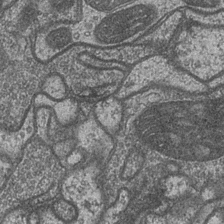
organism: Drosophila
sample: Optic medulla